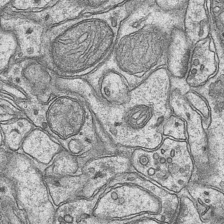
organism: Mouse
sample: CA1 Hippocampus